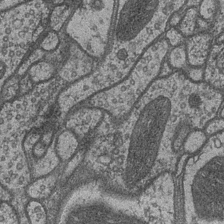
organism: Drosophila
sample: Optic medulla